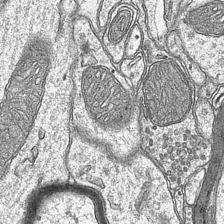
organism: Mouse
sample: CA1 Hippocampus